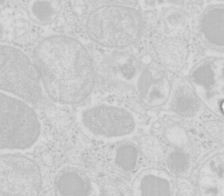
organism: Mouse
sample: Pancreas